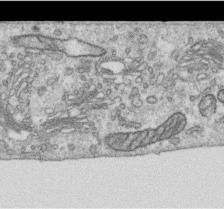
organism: Human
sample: Centriole in RPE cells